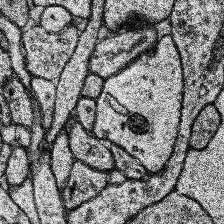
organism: Human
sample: Temporal Lobe